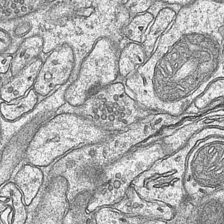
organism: Mouse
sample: CA1 Hippocampus